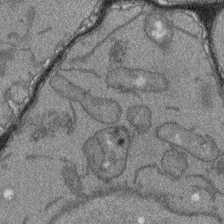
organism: Arabidopsis thaliana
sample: Root tip